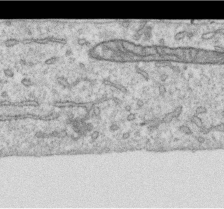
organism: Human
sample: Centriole in RPE cells